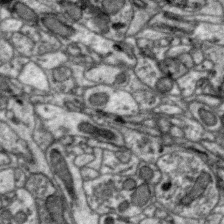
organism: Zebra finch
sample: Brain